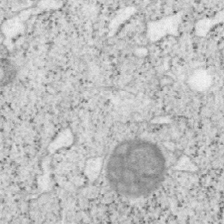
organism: Mouse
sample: OT-I killer T cells with ID8 ovarian cancer cells